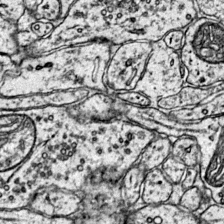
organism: Mouse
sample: Primary visual cortex